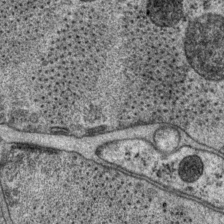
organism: P. pacificus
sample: Pharynx